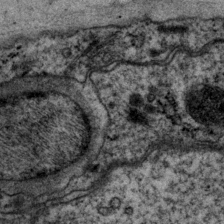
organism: P. pacificus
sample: Pharynx